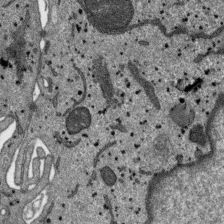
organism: Human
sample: Lung epithelial cells, uninfected (mock) control